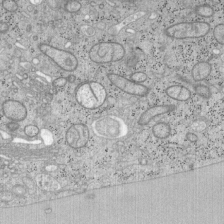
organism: Mouse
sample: OT-I killer T cells with ID8 ovarian cancer cells